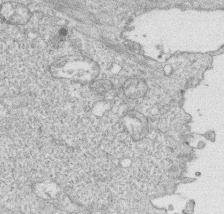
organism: Human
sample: HeLa cell HIV synapse